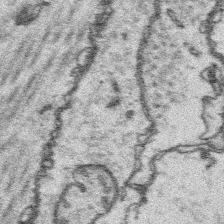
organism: Platynereis dumerilii